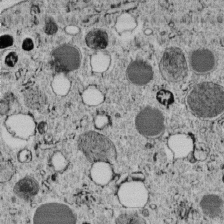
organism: C. elegans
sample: C. elegans embryo early stage